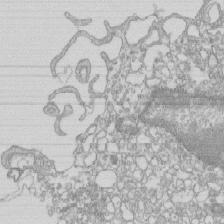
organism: Mouse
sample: Macrophages